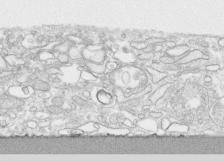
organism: Human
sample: CRL-1474